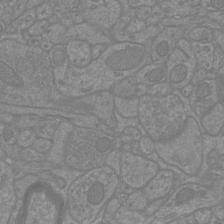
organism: Mouse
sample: Cortical neurons